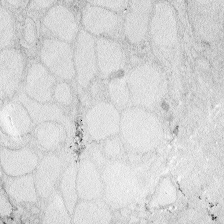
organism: Zebrafish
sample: Whole-Brain